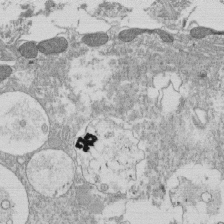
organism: Tetrahymena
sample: Cilia in tetrahymena